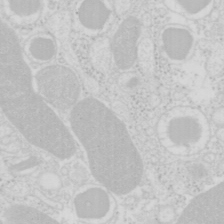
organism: Mouse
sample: Pancreas